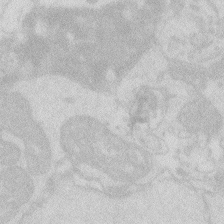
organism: Zebrafish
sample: Macrophage